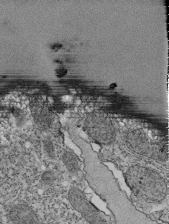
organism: Tetrahymena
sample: Cilia in tetrahymena